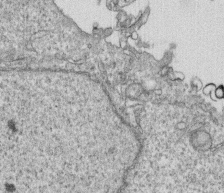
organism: Human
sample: HeLa cell HIV synapse